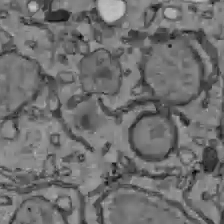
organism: C57BL Mouse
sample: Liver